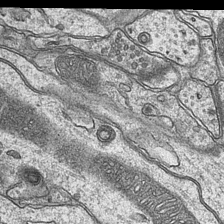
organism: Mouse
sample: CA1 Hippocampus